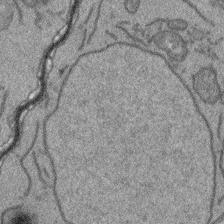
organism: Arabidopsis thaliana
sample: Root tip